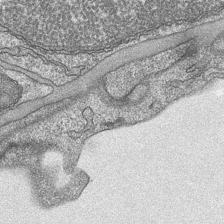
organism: Mouse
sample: CA1 Hippocampus